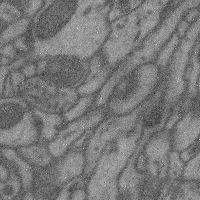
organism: Mouse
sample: Cerebral cortex